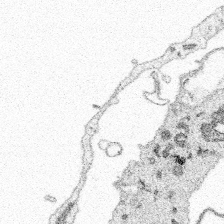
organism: Spongilla lacustris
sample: Multiple